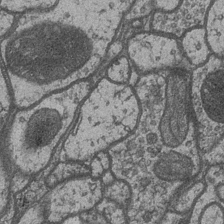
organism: Drosophila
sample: Optic medulla